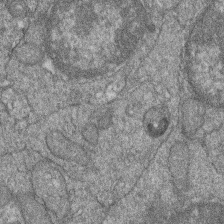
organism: Zebrafish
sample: Cilia; retinal pigment epithelium